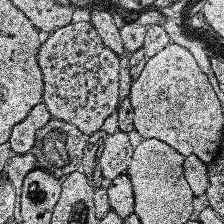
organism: Human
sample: Temporal Lobe